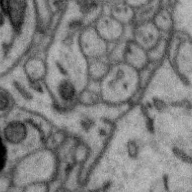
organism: Zebra finch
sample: Brain